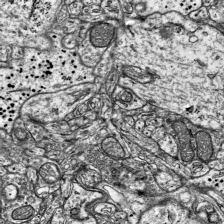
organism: Mouse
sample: Visual Cortex